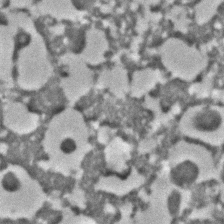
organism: C. elegans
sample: C. elegans embryo